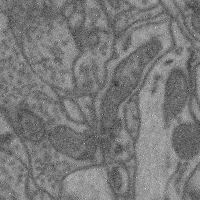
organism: Mouse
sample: Cerebral cortex